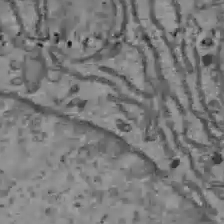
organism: C57BL Mouse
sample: Liver